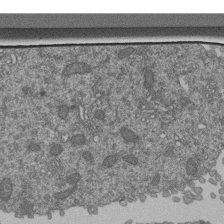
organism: Human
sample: Retinal organoid Rod and Cone cells